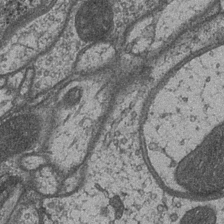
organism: Drosophila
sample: Optic medulla